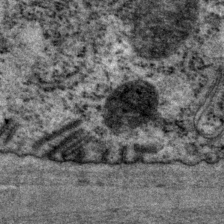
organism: P. pacificus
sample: Pharynx